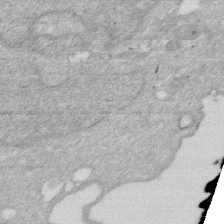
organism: Human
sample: HIV infected U937 cells